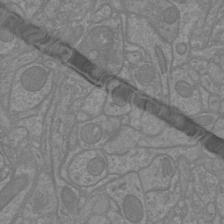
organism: Mouse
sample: Cortical neurons